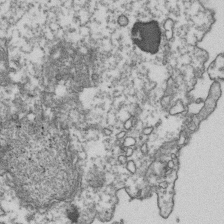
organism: Human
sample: Activated Jurkat CD4+ T cells